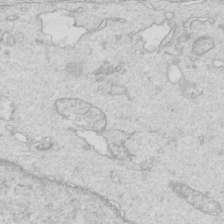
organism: Mouse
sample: Multiciliated cells